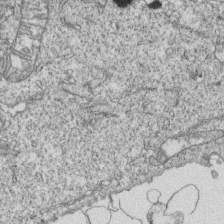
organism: Human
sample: HeLa cell HIV synapse